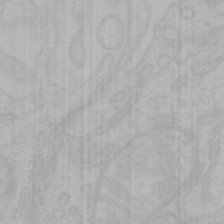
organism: Mouse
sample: Choroid plexus